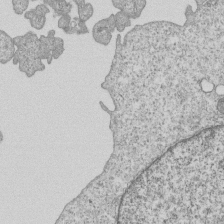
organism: Human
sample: MDA-MB-231 cells